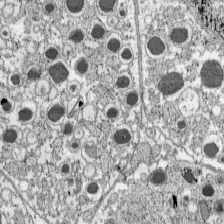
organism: C57BL Mouse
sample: Pancreatic islet